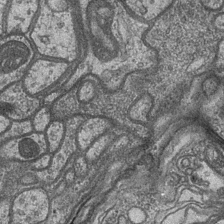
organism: Drosophila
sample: Optic medulla